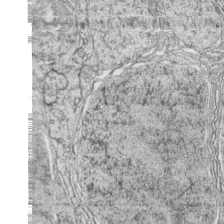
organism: Zebrafish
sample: synaptic ribbons in rod cells and cone cells